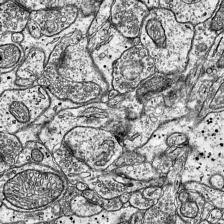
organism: Mouse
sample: Visual Cortex